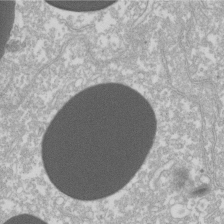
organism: Xenopus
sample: Cilia; centrioles in frog embryo cells